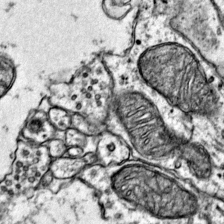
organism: Mouse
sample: Primary visual cortex